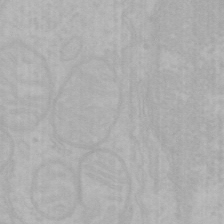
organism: Mouse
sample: Choroid plexus